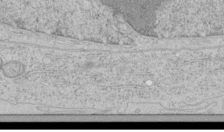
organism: Human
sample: Mitochondria in HCT116 cells